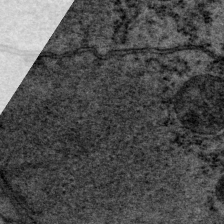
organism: P. pacificus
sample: Pharynx